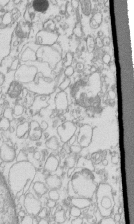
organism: Mouse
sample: Macrophages